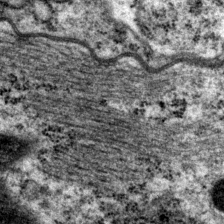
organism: P. pacificus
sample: Pharynx